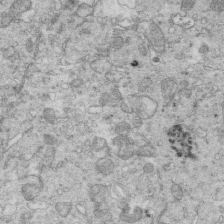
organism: Mouse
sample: Multiciliated cells